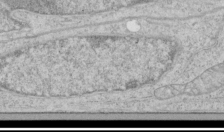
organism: Human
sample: Mitochondria in HCT116 cells